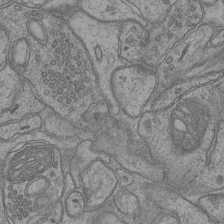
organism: Mouse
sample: CA1 Hippocampus